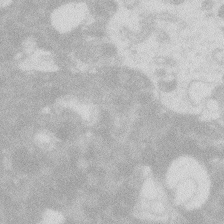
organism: Zebrafish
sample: Macrophage